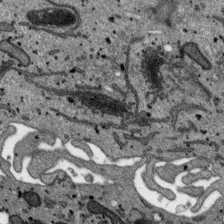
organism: Human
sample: Lung epithelial cells, uninfected (mock) control